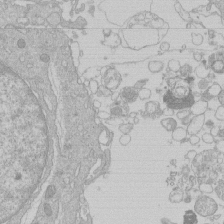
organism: Human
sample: Macrophage cells